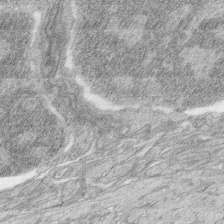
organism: Zebrafish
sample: synaptic ribbons in rod cells and cone cells